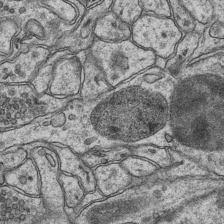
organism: Mouse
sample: CA1 Hippocampus